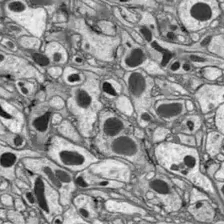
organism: Drosophila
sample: Optic lobe